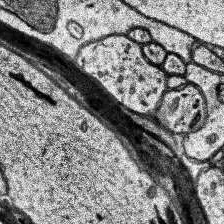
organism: Human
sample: Temporal Lobe